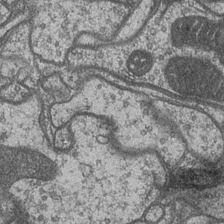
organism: Drosophila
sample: Optic medulla